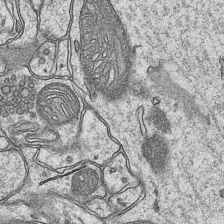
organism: Mouse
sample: CA1 Hippocampus